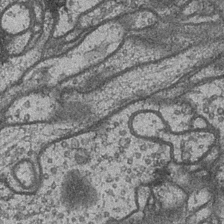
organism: Drosophila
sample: Optic medulla